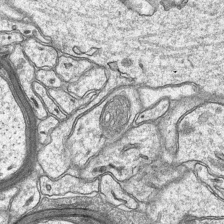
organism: Mouse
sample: CA1 Hippocampus